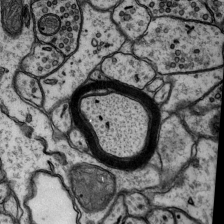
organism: Rat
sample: Hippocampus